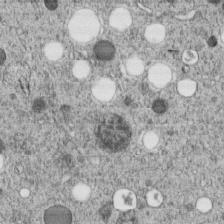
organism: C. elegans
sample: C. elegans embryo early stage